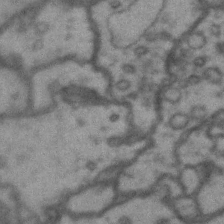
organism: Drosophila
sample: Brain